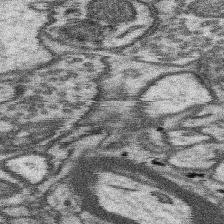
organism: Mouse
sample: Somatosensory cortex neuropil